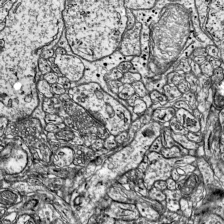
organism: Mouse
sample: Visual Cortex